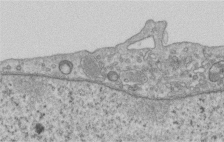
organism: Human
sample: Centriole in RPE cells